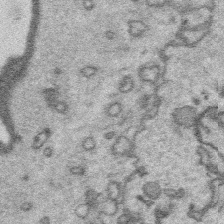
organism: Platynereis dumerilii